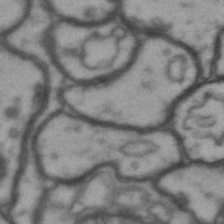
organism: Drosophila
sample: Brain